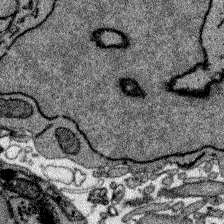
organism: Zebrafish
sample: Larval olfactory bulb